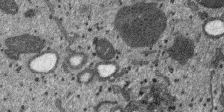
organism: Human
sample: Lung epithelial cells infected with SARS-CoV-2